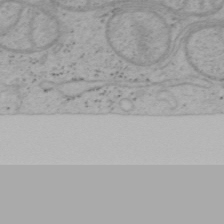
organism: Human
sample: HeLa cells